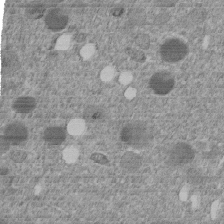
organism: C. elegans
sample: C. elegans embryo early stage